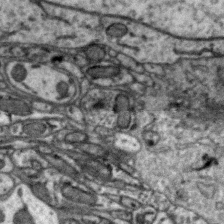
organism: Zebra finch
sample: Brain